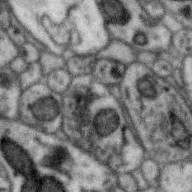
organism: Zebra finch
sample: Brain